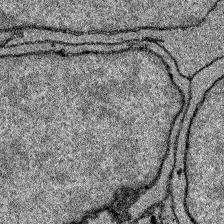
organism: Zebrafish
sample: Larval olfactory bulb